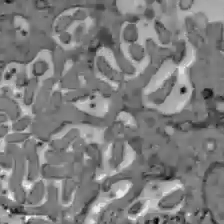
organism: C57BL Mouse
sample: Liver